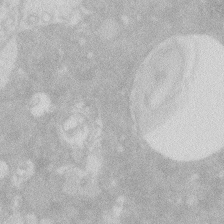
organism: Zebrafish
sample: Macrophage